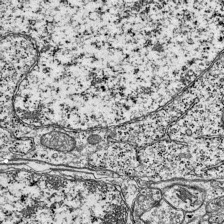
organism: Mouse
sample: Visual Cortex